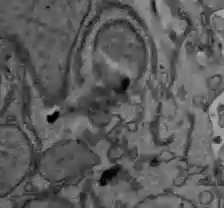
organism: C57BL Mouse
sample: Liver